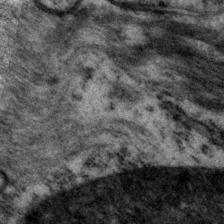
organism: P. pacificus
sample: Pharynx